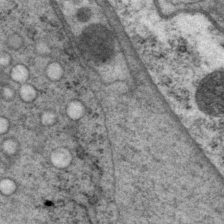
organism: P. pacificus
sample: Pharynx